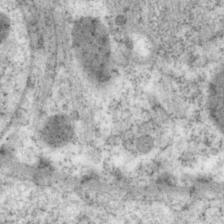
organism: P. pacificus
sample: Pharynx